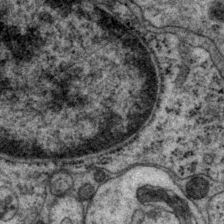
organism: P. pacificus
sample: Pharynx